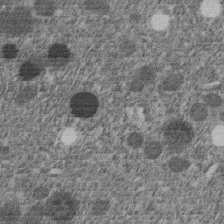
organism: C. elegans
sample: C. elegans embryo early stage